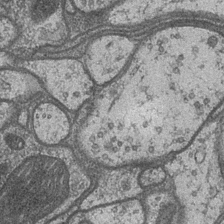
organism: Drosophila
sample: Optic medulla